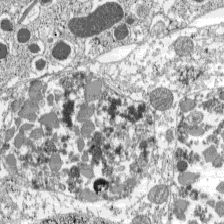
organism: C57BL Mouse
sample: Pancreatic islet